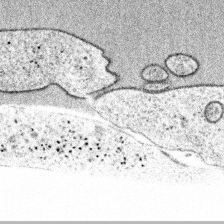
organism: Human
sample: HeLa cells